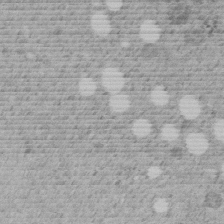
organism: C. elegans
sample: C. elegans embryo early stage